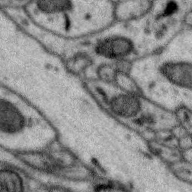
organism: Zebra finch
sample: Brain